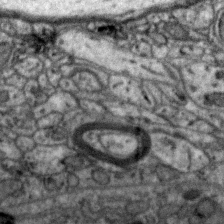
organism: Zebra finch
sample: Brain